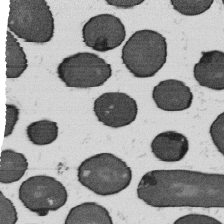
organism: B. subtilis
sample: Bacterial spore